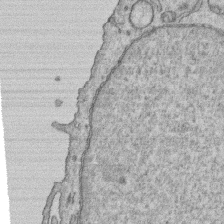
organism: Human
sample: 1205lu cells